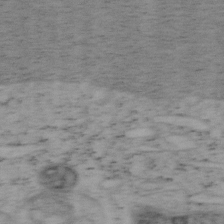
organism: Mouse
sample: OT-I killer T cells with ID8 ovarian cancer cells